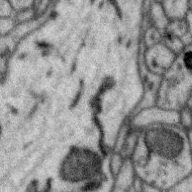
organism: Zebra finch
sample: Brain